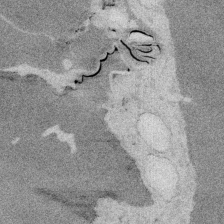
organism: Embia sp.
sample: Silk gland